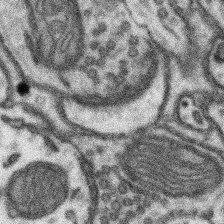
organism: Mouse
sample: Somatosensory cortex neuropil